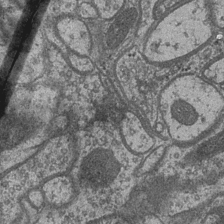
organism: Drosophila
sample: Optic medulla